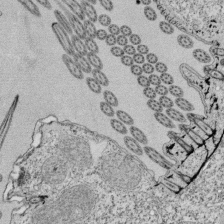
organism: Tetrahymena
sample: Cilia in tetrahymena